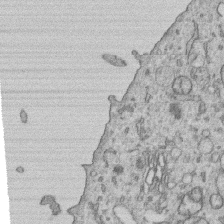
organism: Human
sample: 1205lu cells